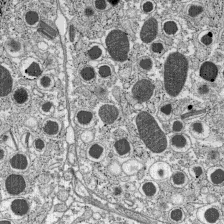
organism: C57BL Mouse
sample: Pancreatic islet